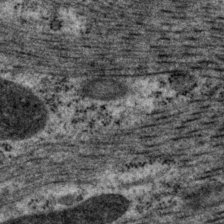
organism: P. pacificus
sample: Pharynx